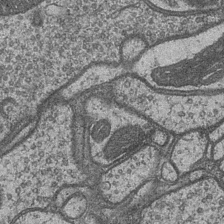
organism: Drosophila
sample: Optic medulla